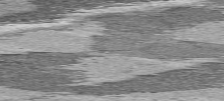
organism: C57BL Mouse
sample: Heart